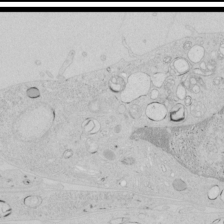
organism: Human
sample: Mitochondria in HCT116 cells